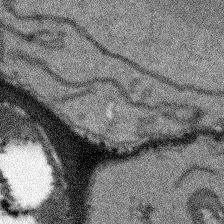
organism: Arabidopsis thaliana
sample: Root tip